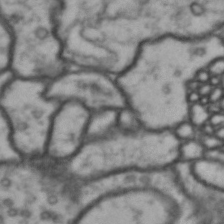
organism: Drosophila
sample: Brain